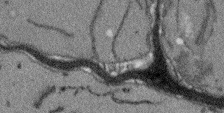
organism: Arabidopsis thaliana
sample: Root tip